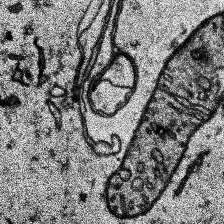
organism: Human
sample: Temporal Lobe